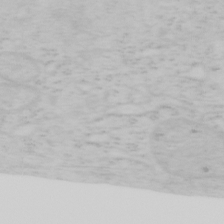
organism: Mouse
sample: OT-I killer T cells with ID8 ovarian cancer cells